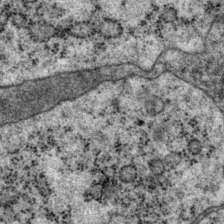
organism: P. pacificus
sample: Pharynx